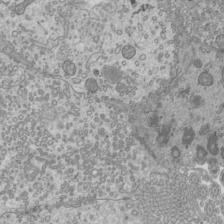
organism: Mouse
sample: Cilia; mouse epididymis